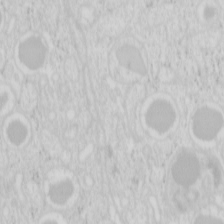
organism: Mouse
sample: Pancreas